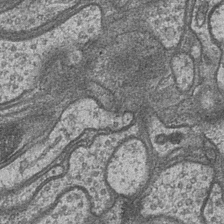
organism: Drosophila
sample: Optic medulla